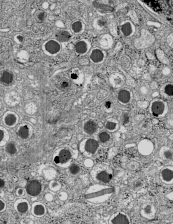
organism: C57BL Mouse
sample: Pancreatic islet